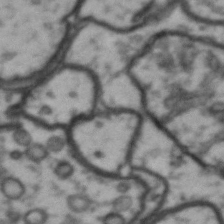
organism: Drosophila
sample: Brain